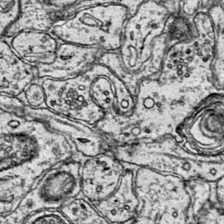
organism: Mouse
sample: Primary visual cortex